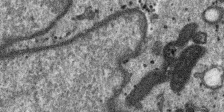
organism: Human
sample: Lung epithelial cells infected with SARS-CoV-2